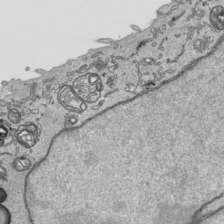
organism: Human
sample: Mitochondria in HCT116 cells